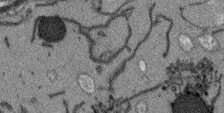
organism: Arabidopsis thaliana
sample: Root tip